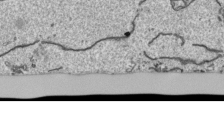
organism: Human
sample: Mitochondria in HCT116 cells